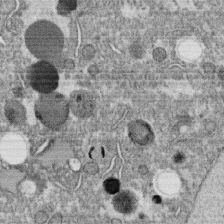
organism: C. elegans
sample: C. elegans oocyte; sperm cells